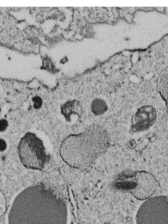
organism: C. elegans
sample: C. elegans embryo early stage